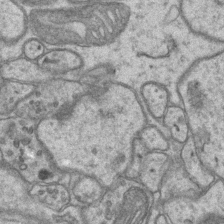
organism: Mouse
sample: CA1 Hippocampus